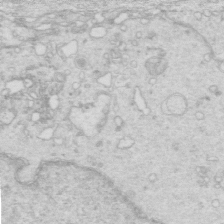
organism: Mouse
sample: Multiciliated cells